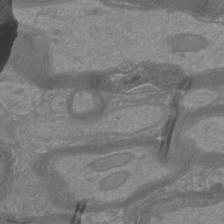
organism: Mouse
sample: Cortical neurons